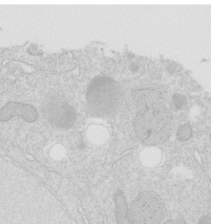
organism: C. elegans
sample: C. elegans embryo early stage